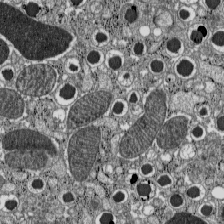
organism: C57BL Mouse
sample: Pancreatic islet